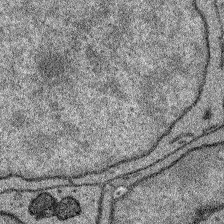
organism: Zebrafish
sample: Larval olfactory bulb